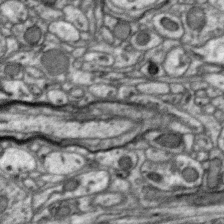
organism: Zebra finch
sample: Brain